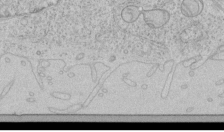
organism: Human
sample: Mitochondria in HCT116 cells